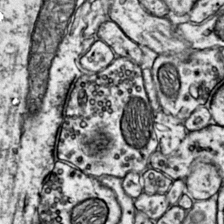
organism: Mouse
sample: Primary visual cortex